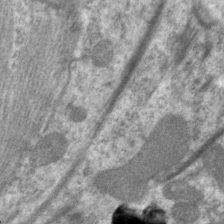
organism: C. elegans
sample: Pharynx